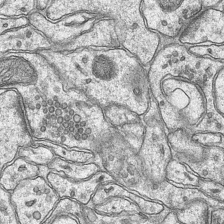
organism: Mouse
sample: CA1 Hippocampus